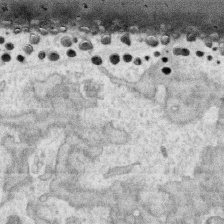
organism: Human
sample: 1205lu cells